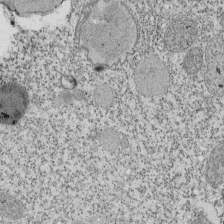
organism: Tetrahymena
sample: Cilia in tetrahymena